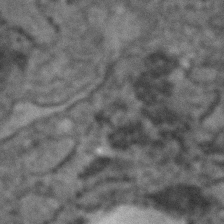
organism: Human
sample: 1205lu cells